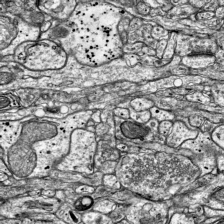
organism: Mouse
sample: Visual Cortex